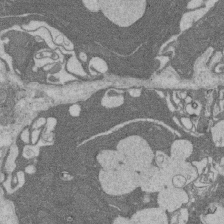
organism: Rat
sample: Salivary granule